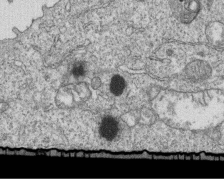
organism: Human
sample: HeLa cell HIV synapse